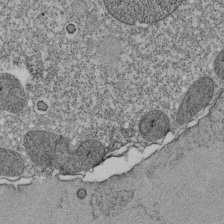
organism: Tetrahymena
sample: Cilia in tetrahymena